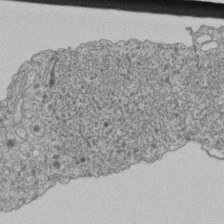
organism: Human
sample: Retinal organoid Rod and Cone cells